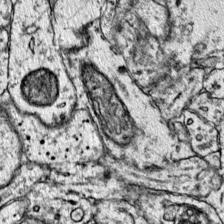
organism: Mouse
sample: Primary visual cortex